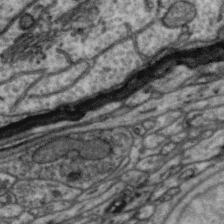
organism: Zebra finch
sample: Brain